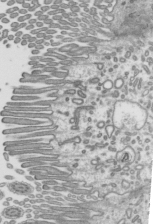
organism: Mouse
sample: Mouse epididymis efferent ductule cilia